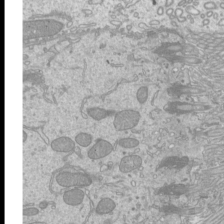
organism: Mouse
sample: Cilia; mouse epididymis